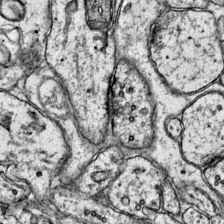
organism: Mouse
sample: Primary visual cortex